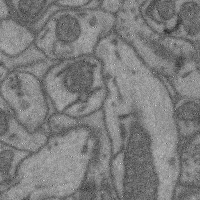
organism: Mouse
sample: Cerebral cortex